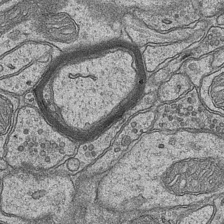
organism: Mouse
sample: CA1 Hippocampus